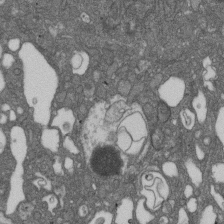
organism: Drosophila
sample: Nephrocyte